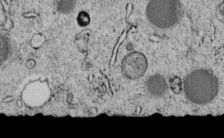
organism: C. elegans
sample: C. elegans embryo early stage